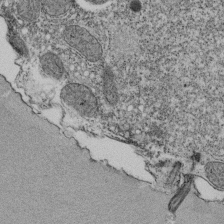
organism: Tetrahymena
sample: Cilia in tetrahymena